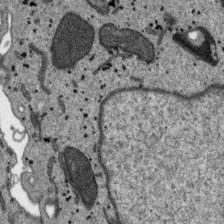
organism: Human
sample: Lung epithelial cells, uninfected (mock) control